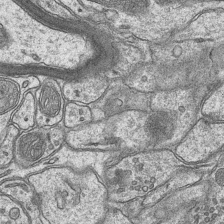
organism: Mouse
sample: CA1 Hippocampus